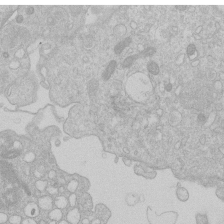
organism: Human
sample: Macrophage cells